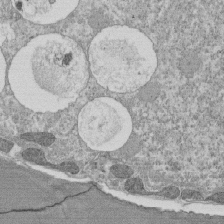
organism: Tetrahymena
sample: Cilia in tetrahymena